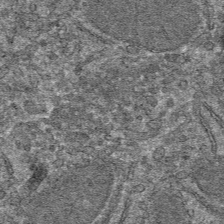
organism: Mouse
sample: Mouse hepatocytes